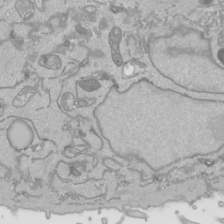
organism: Human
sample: Mitochondria in HCT116 cells